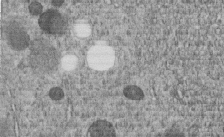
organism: C. elegans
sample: C. elegans embryo early stage